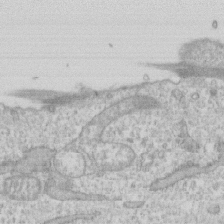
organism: Human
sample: CRL-1474